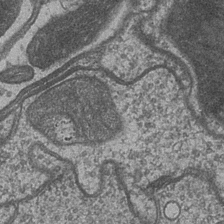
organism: Drosophila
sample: Optic medulla